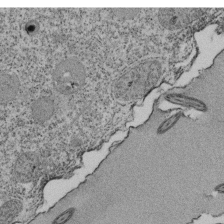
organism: Tetrahymena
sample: Cilia in tetrahymena